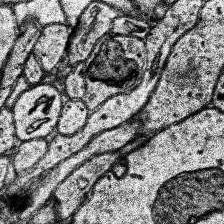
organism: Human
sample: Temporal Lobe